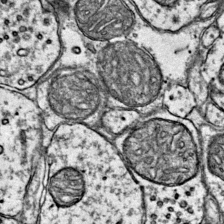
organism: Mouse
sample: Primary visual cortex